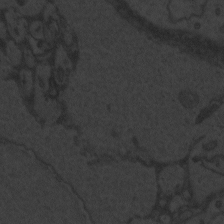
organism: Zebrafish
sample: Macrophage infected with Toxoplasma gondii